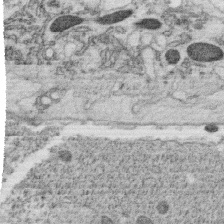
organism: C. elegans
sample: C. elegans oocyte; sperm cells